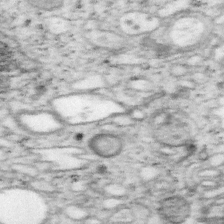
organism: Mouse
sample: OT-I killer T cells with ID8 ovarian cancer cells